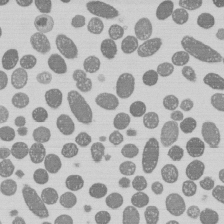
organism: E. coli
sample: Bacterial nucleoid